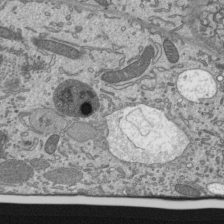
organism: Mouse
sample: Mouse epididymis efferent ductule cilia